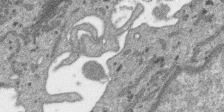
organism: Human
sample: Lung epithelial cells infected with SARS-CoV-2